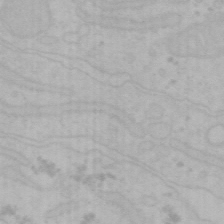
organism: Mouse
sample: Choroid plexus